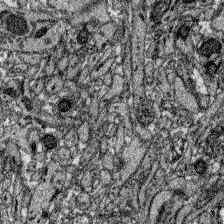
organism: Zebrafish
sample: Larval olfactory bulb